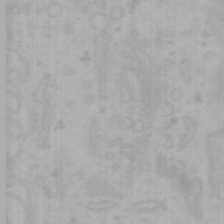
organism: Mouse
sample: Choroid plexus